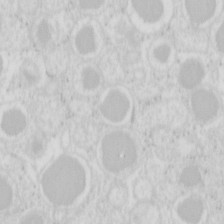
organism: Mouse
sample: Pancreas